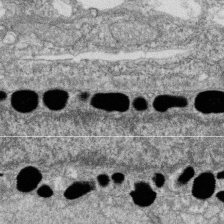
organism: Zebrafish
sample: Cilia; retinal pigment epithelium